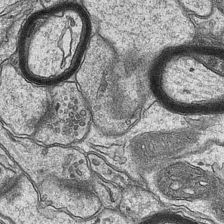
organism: Mouse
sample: CA1 Hippocampus